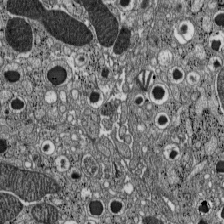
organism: C57BL Mouse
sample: Pancreatic islet